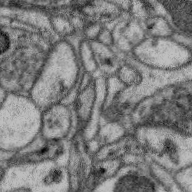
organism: Zebra finch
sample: Brain